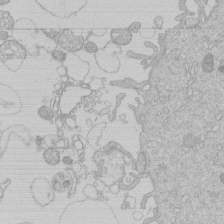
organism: Human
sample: Macrophage cells